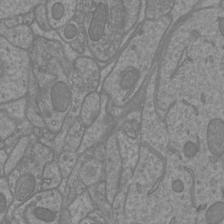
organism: Mouse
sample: Cortical neurons